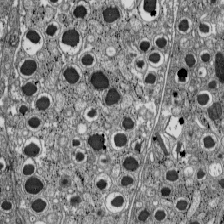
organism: C57BL Mouse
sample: Pancreatic islet